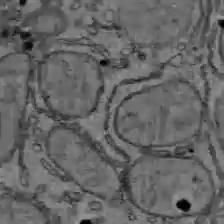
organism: C57BL Mouse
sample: Liver